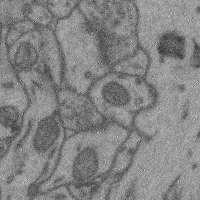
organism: Mouse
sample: Cerebral cortex